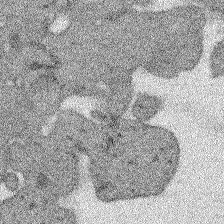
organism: Human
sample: HeLa cells